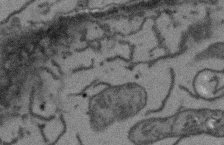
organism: Arabidopsis thaliana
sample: Root tip